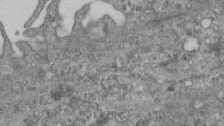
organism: Mouse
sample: Centriole in ependymal cells